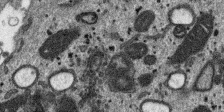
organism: Human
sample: Lung epithelial cells infected with SARS-CoV-2